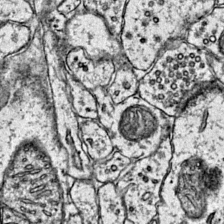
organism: Mouse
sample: Primary visual cortex